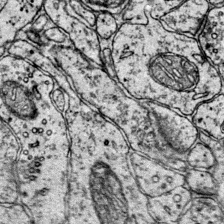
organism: Mouse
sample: Primary visual cortex